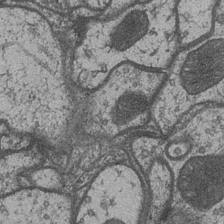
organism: Drosophila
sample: Optic medulla